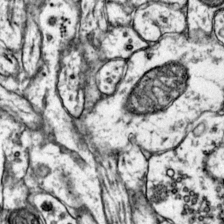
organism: Mouse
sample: Primary visual cortex